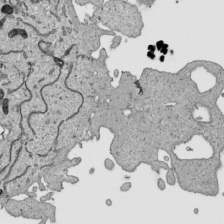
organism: Human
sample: Mitochondria in HCT116 cells